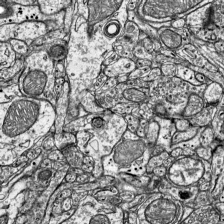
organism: Mouse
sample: Visual Cortex